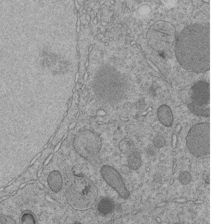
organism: C. elegans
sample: C. elegans embryo early stage